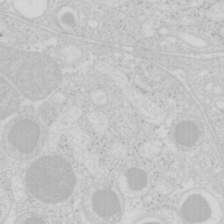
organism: Mouse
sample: Pancreas